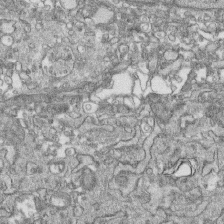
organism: Human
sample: CRL-1474